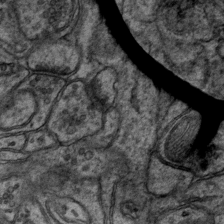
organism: Mouse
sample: CA1 Hippocampus